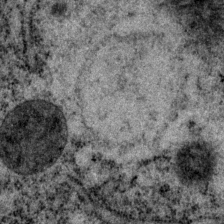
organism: P. pacificus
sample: Pharynx